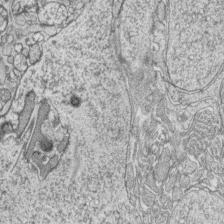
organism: Zebrafish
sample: synaptic ribbons in rod cells and cone cells